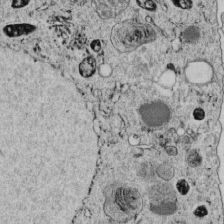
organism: C. elegans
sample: C. elegans embryo early stage